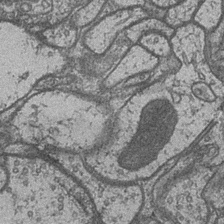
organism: Drosophila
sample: Optic medulla